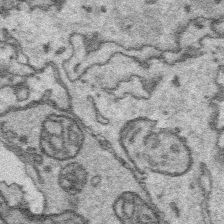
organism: Platynereis dumerilii